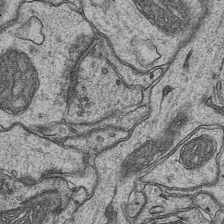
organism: Mouse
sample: CA1 Hippocampus